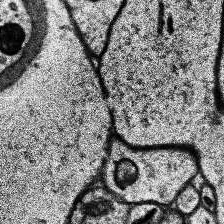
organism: Human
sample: Temporal Lobe